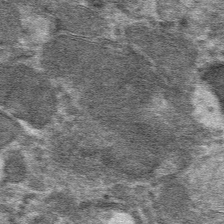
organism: Mouse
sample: Mouse hepatocytes